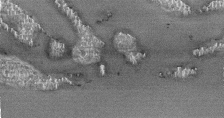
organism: Human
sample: Centriole in RPE cells